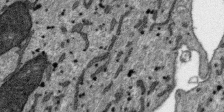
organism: Human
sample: Lung epithelial cells, uninfected (mock) control